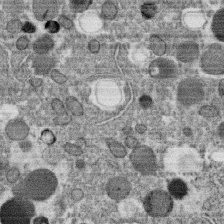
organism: C. elegans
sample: C. elegans oocyte; sperm cells